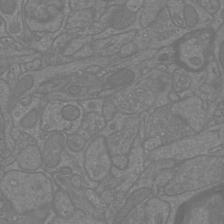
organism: Mouse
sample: Cortical neurons